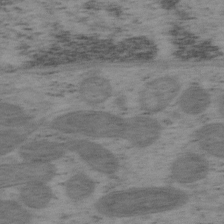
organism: Mouse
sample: OT-I killer T cells with ID8 ovarian cancer cells